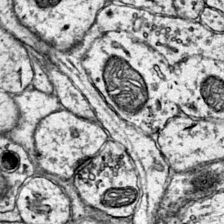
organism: Mouse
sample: Primary visual cortex